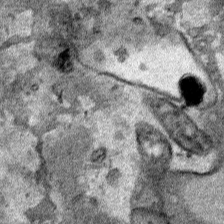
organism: Human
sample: Mitochondria in HCT116 cells